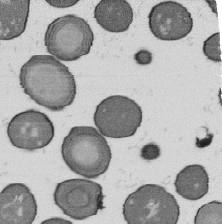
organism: B. subtilis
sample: Bacterial spore